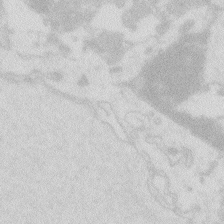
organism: Zebrafish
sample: Macrophage